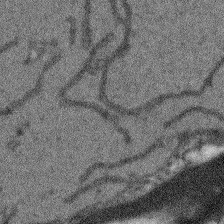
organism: Arabidopsis thaliana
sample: Root tip